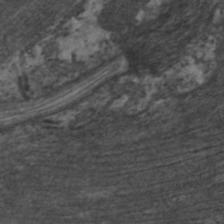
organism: C. elegans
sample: Pharynx